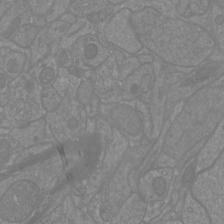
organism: Mouse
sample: Cortical neurons